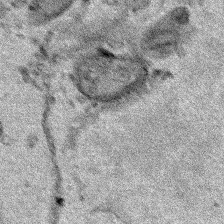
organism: Human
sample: Mitochondria in HCT116 cells